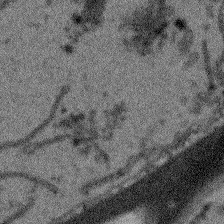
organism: Arabidopsis thaliana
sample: Root tip